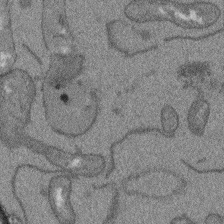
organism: Arabidopsis thaliana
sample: Root tip